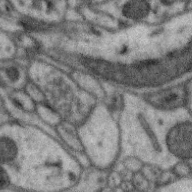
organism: Zebra finch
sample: Brain